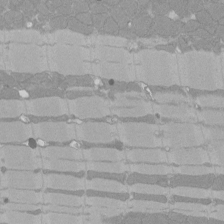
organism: Rat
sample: Left ventricle